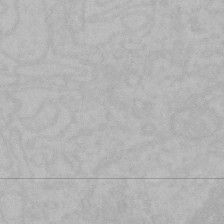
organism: Mouse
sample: Choroid plexus